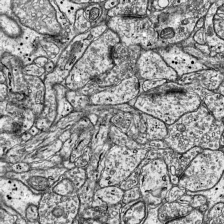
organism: Mouse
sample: Visual Cortex